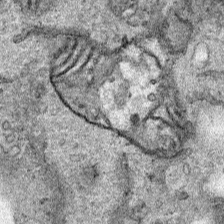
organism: Human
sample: Mitochondria in HCT116 cells